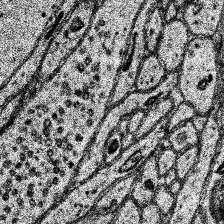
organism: Human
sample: Temporal Lobe